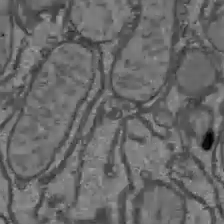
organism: C57BL Mouse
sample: Liver